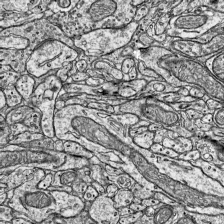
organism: Mouse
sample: Visual Cortex